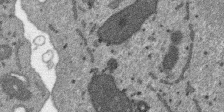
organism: Human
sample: Lung epithelial cells infected with SARS-CoV-2